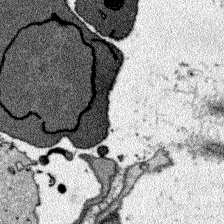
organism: Zebrafish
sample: Larval olfactory bulb